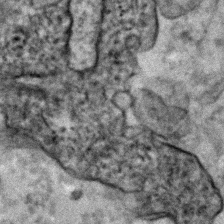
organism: Human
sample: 1205lu cells